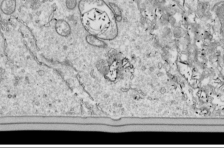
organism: Drosophila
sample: Cell division; meiosis; drosophila spermatocytes